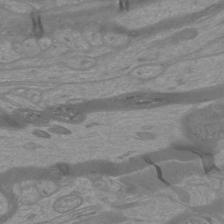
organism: Mouse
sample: Cortical neurons